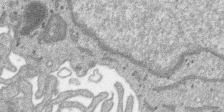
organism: Human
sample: Lung epithelial cells infected with SARS-CoV-2